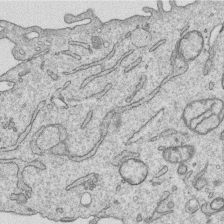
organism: Human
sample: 1205lu cells